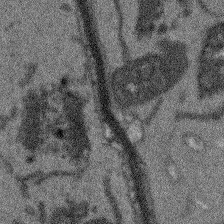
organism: Arabidopsis thaliana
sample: Root tip